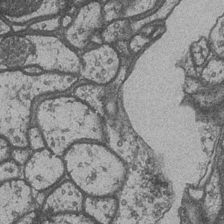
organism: Drosophila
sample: Optic medulla